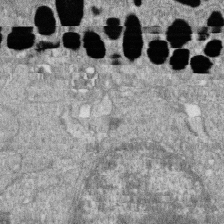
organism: Zebrafish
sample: Cilia; retinal pigment epithelium